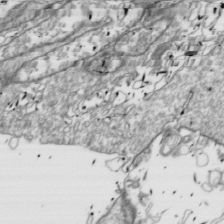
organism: Drosophila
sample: Cell division; meiosis; drosophila spermatocytes